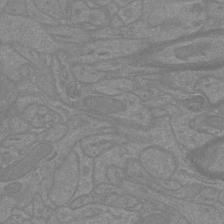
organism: Mouse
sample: Cortical neurons